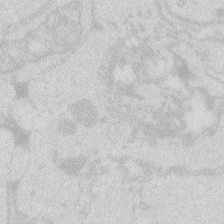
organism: Zebrafish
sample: Macrophage